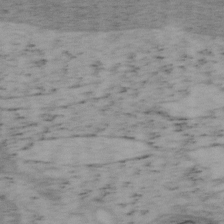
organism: Mouse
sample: OT-I killer T cells with ID8 ovarian cancer cells